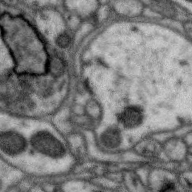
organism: Zebra finch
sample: Brain